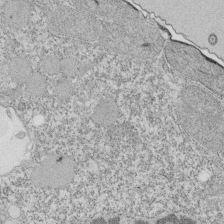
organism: Tetrahymena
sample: Cilia in tetrahymena